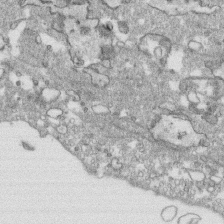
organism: Human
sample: CRL-1474